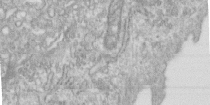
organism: Human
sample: Centriole in RPE cells